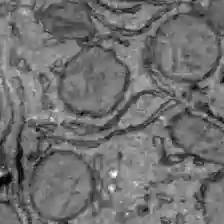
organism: C57BL Mouse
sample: Liver